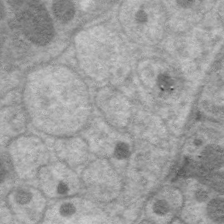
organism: C. elegans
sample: Pharynx